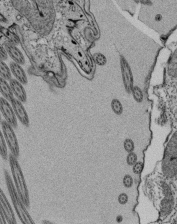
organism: Tetrahymena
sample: Cilia in tetrahymena